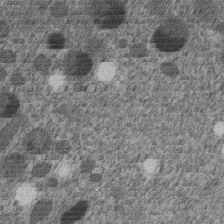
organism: C. elegans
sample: C. elegans embryo early stage